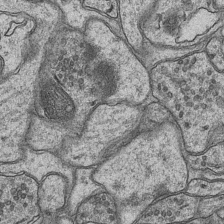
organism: Mouse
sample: CA1 Hippocampus